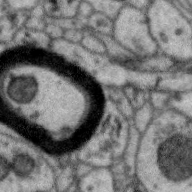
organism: Zebra finch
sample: Brain